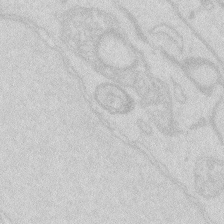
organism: Zebrafish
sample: Macrophage